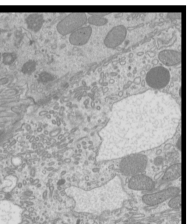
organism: Mouse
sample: Cilia; mouse epididymis